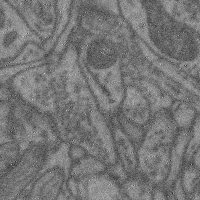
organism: Mouse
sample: Cerebral cortex